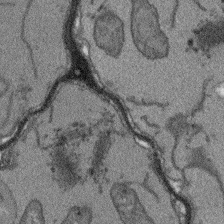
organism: Arabidopsis thaliana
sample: Root tip